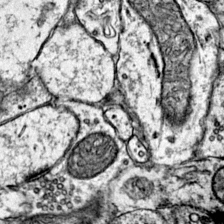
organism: Mouse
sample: Primary visual cortex